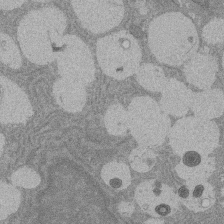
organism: Rat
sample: Salivary granule